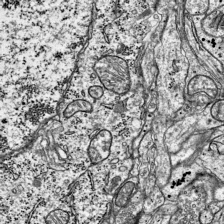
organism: Mouse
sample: Visual Cortex